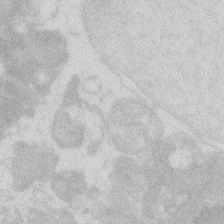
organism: Zebrafish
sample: Macrophage